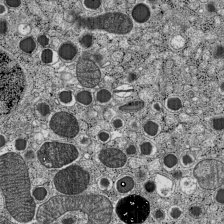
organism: C57BL Mouse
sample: Pancreatic islet